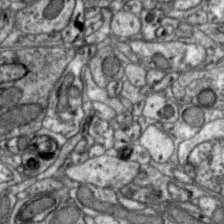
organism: Zebra finch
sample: Brain